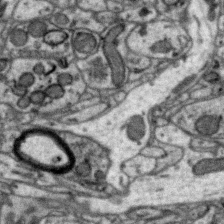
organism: Zebra finch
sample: Brain